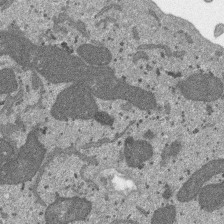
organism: Human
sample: Lung epithelial cells infected with SARS-CoV-2